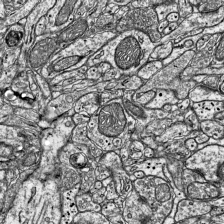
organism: Mouse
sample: Visual Cortex